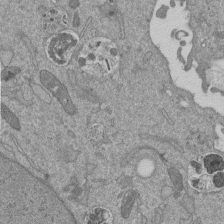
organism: Mouse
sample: ED-1 cell nuclei; centrioles